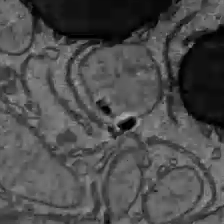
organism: C57BL Mouse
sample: Liver